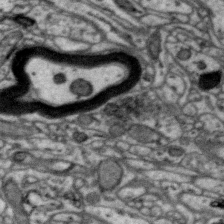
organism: Zebra finch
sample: Brain